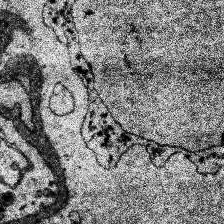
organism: Human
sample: Temporal Lobe